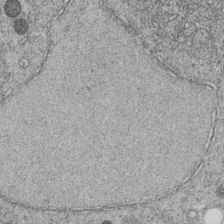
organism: C. elegans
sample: C. elegans embryo early stage